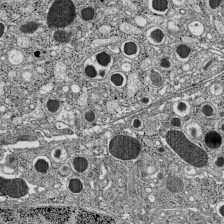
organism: C57BL Mouse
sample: Pancreatic islet